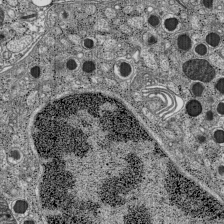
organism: C57BL Mouse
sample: Pancreatic islet